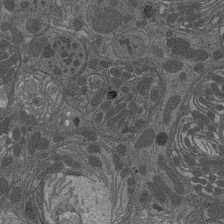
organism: Drosophila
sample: Antenna